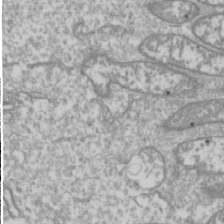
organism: Drosophila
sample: Cell division; meiosis; drosophila spermatocytes